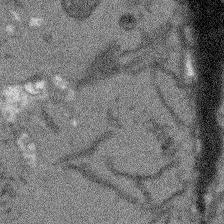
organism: Arabidopsis thaliana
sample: Root tip